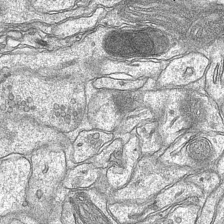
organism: Mouse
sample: CA1 Hippocampus